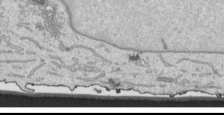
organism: Human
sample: Mitochondria in HCT116 cells